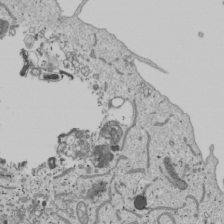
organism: Human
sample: Mitochondria in U2OS cells